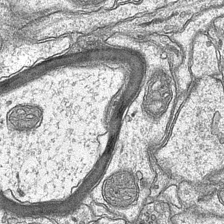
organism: Mouse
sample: CA1 Hippocampus